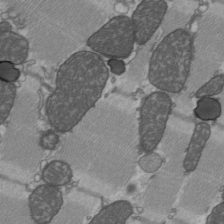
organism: C57BL Mouse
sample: Heart